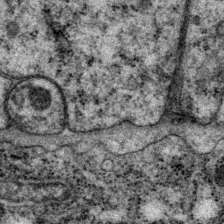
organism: P. pacificus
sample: Pharynx